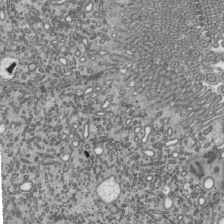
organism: Mouse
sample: Mouse epididymis efferent ductule cilia